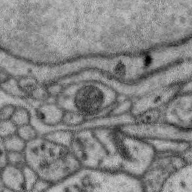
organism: Zebra finch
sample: Brain